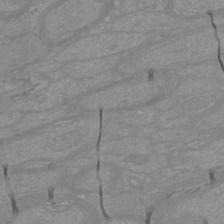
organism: Mouse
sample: Cortical neurons